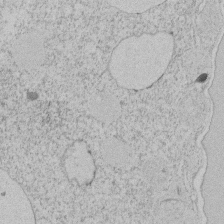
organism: Tetrahymena